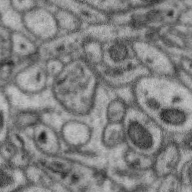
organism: Zebra finch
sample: Brain